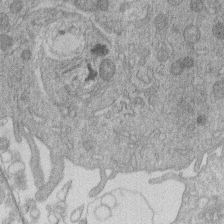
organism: Human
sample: Macrophage cells